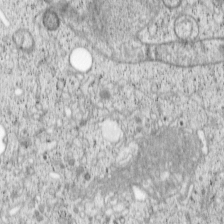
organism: African green monkey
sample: COS-7 cells